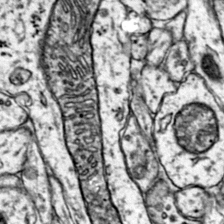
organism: Mouse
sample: Primary visual cortex